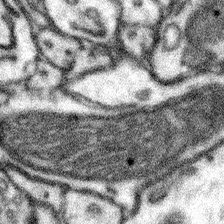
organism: Mouse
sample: Somatosensory cortex neuropil